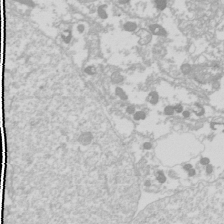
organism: Drosophila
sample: Cell division; meiosis; drosophila spermatocytes